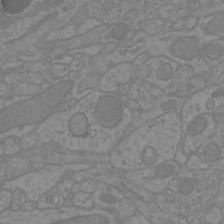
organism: Mouse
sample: Cortical neurons